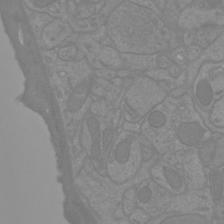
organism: Mouse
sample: Cortical neurons